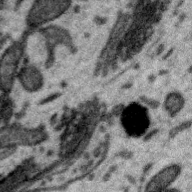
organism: Zebra finch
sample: Brain